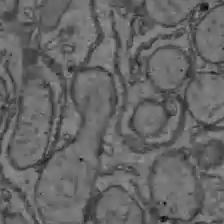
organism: C57BL Mouse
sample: Liver